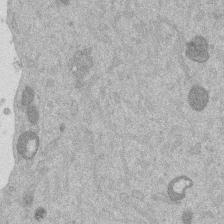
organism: Mouse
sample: Dividing mouse embryo 1 cell stage